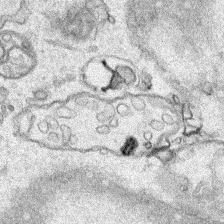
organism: Human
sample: Mitochondria in HCT116 cells